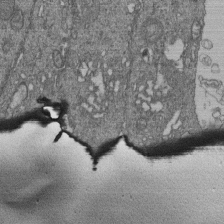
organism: Human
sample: Retinal organoid Rod and Cone cells